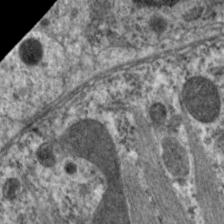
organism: C. elegans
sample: Pharynx